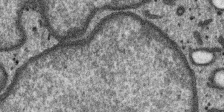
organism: Human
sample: Lung epithelial cells infected with SARS-CoV-2